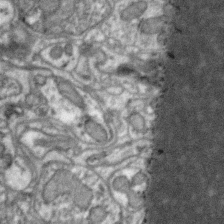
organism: Zebra finch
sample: Brain